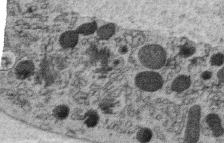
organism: C. elegans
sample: C. elegans oocyte; sperm cells